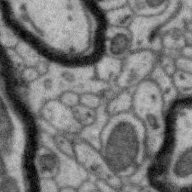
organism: Zebra finch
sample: Brain